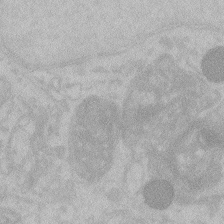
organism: Zebrafish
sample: Macrophage infected with Toxoplasma gondii